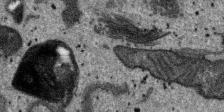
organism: Human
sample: Lung epithelial cells, uninfected (mock) control